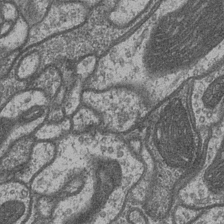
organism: Drosophila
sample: Optic medulla